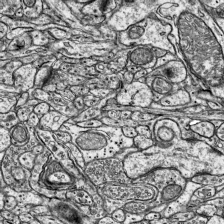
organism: Mouse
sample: Visual Cortex